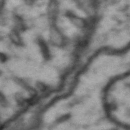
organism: Drosophila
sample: Brain